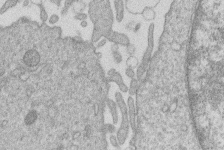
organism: Human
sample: Macrophage cells